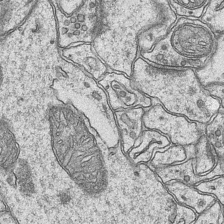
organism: Mouse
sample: CA1 Hippocampus